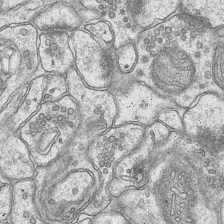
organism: Mouse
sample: CA1 Hippocampus